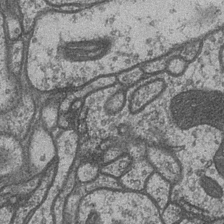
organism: Drosophila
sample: Optic medulla